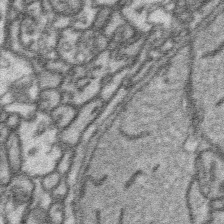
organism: Platynereis dumerilii